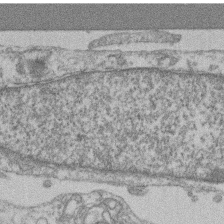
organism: Mouse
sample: T cell stromal cell synapse